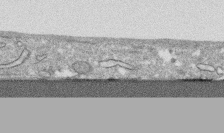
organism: Human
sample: CRL-1474